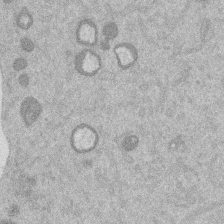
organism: Mouse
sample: Dividing mouse embryo 1 cell stage